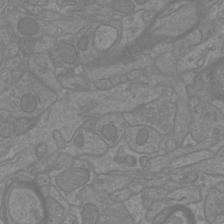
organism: Mouse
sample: Cortical neurons